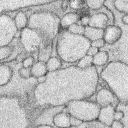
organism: Rabbit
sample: Retina